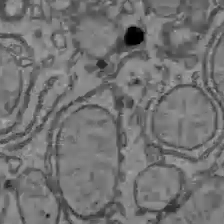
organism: C57BL Mouse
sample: Liver